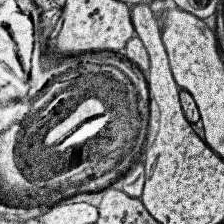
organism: Human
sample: Temporal Lobe